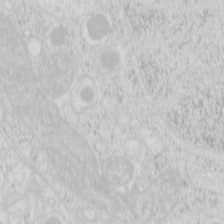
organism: Mouse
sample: Pancreas